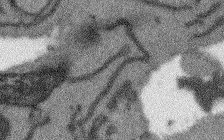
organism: Arabidopsis thaliana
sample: Root tip